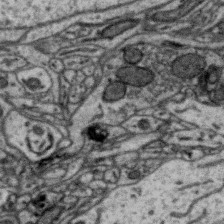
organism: Zebra finch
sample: Brain